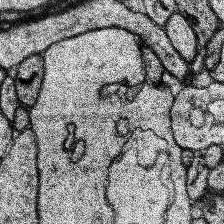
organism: Human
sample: Temporal Lobe